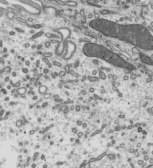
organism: Mouse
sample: Mouse epididymis efferent ductule cilia